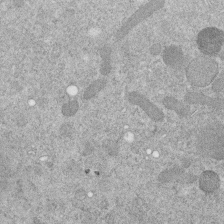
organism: C. elegans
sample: C. elegans embryo early stage